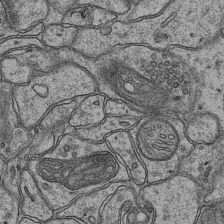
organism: Mouse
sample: CA1 Hippocampus